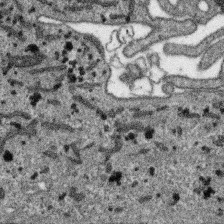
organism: Human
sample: Lung epithelial cells infected with SARS-CoV-2